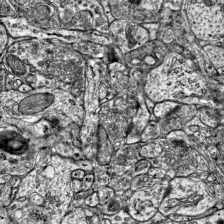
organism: Mouse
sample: Visual Cortex